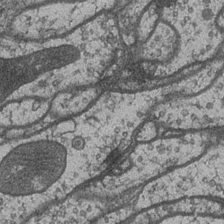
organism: Drosophila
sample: Optic medulla